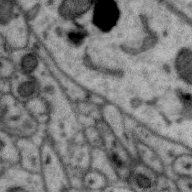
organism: Zebra finch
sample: Brain